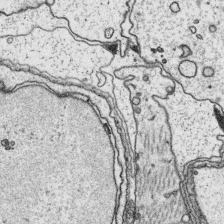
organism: Platynereis dumerilii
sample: Parapodia